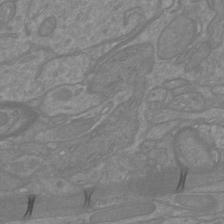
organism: Mouse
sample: Cortical neurons